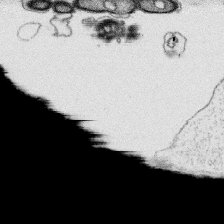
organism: Platynereis dumerilii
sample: Parapodia